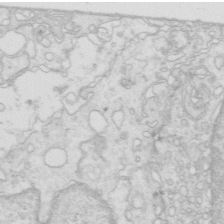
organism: Mouse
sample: Multiciliated cells